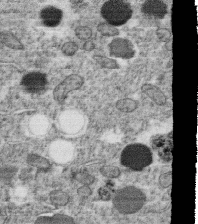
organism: C. elegans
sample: C. elegans oocyte; sperm cells